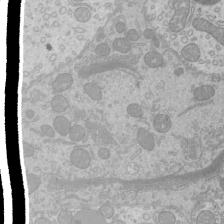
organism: Mouse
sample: Cilia; mouse epididymis